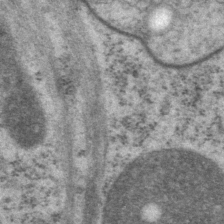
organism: P. pacificus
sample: Pharynx